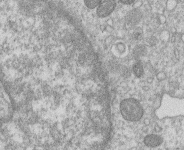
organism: Human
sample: Macrophage cells